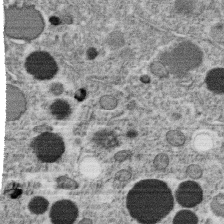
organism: C. elegans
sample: C. elegans oocyte; sperm cells